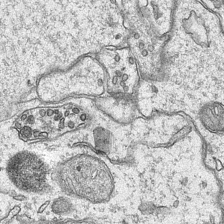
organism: Mouse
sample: CA1 Hippocampus